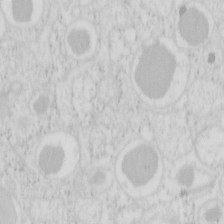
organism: Mouse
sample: Pancreas